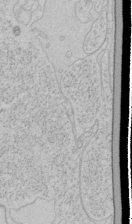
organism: Human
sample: Mitochondria in HCT116 cells